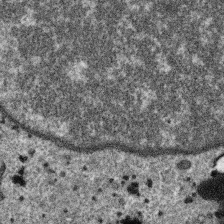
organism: Human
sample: Lung epithelial cells infected with SARS-CoV-2